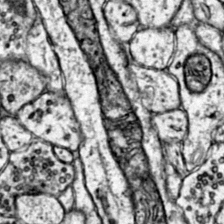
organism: Mouse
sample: Primary visual cortex